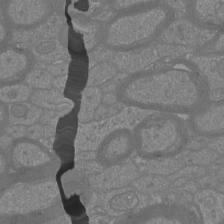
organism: Mouse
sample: Cortical neurons